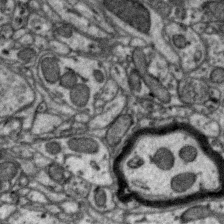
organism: Zebra finch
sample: Brain